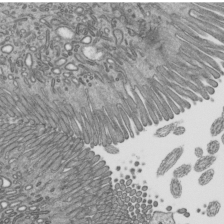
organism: Mouse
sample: Mouse epididymis efferent ductule cilia